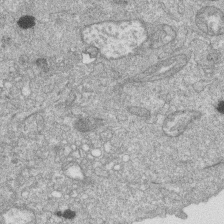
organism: Human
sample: HeLa cell HIV synapse